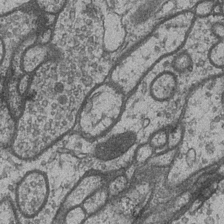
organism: Drosophila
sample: Optic medulla